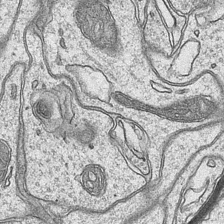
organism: Mouse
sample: CA1 Hippocampus